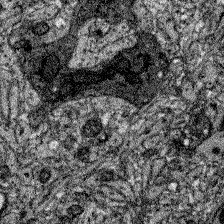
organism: Zebrafish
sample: Larval olfactory bulb